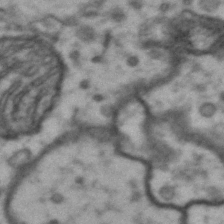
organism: Drosophila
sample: Brain